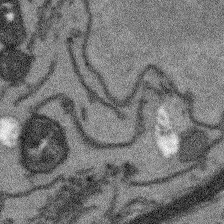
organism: Arabidopsis thaliana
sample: Root tip